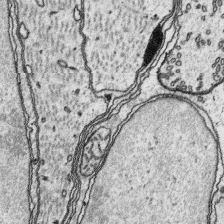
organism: Platynereis dumerilii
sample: Parapodia